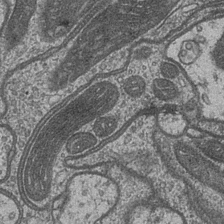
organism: Drosophila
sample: Optic medulla